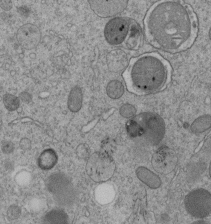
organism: C. elegans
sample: C. elegans embryo early stage